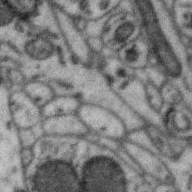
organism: Zebra finch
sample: Brain